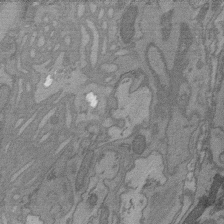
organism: C. elegans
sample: AFD neurons C. elegans